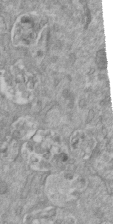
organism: Mouse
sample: ED-1 cell nuclei; centrioles